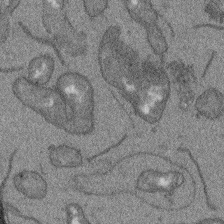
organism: Arabidopsis thaliana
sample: Root tip